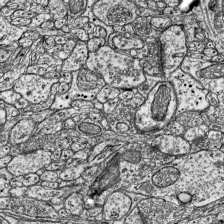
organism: Mouse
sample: Visual Cortex